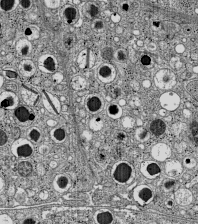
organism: C57BL Mouse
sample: Pancreatic islet